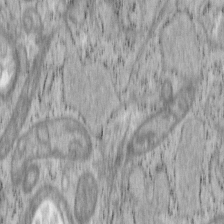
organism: Human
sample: HeLa cells